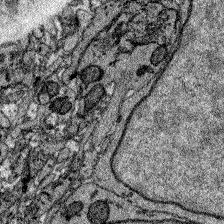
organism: Zebrafish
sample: Larval olfactory bulb